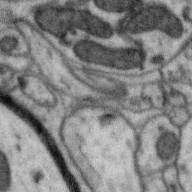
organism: Zebra finch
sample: Brain